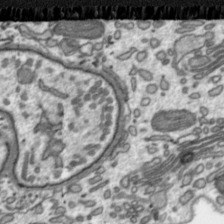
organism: Toxoplasma gondii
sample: Parasites in a vacuole inside a host cell